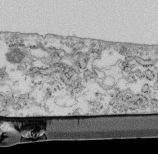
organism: Mouse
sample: Cilia; retinal pigment epithelium